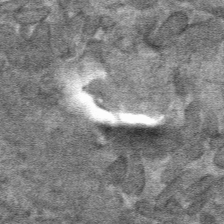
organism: Mouse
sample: Mouse hepatocytes